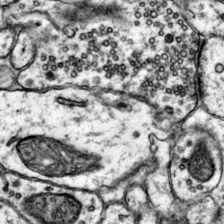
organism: Mouse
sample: Primary visual cortex